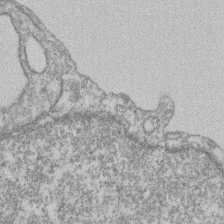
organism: Mouse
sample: T cell stromal cell synapse